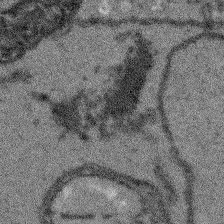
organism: Arabidopsis thaliana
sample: Root tip